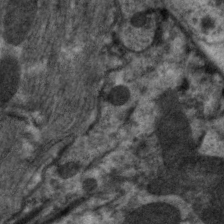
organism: C. elegans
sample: Pharynx